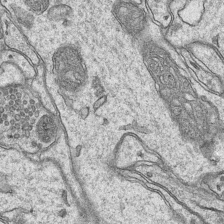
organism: Mouse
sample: CA1 Hippocampus